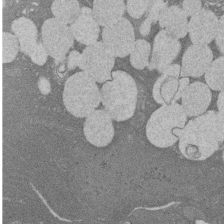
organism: Rat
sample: Salivary granule